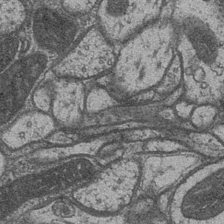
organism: Drosophila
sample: Optic medulla